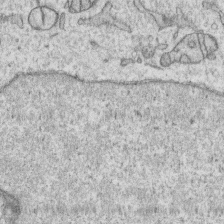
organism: Human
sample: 1205lu cells